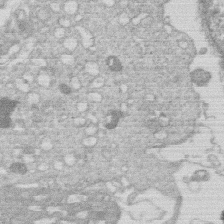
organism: Human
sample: Macrophage cells